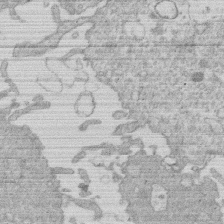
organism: Human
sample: Macrophage cells